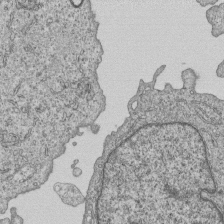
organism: Human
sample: MDA-MB-231 cells